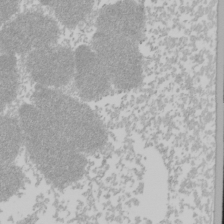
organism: Mouse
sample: Cancer cell death in ED-1 cells